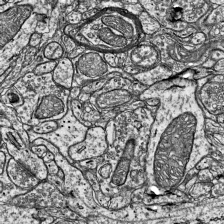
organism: Mouse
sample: Visual Cortex